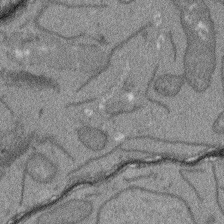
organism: Arabidopsis thaliana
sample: Root tip